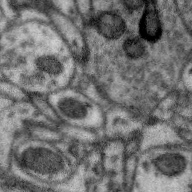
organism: Zebra finch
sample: Brain